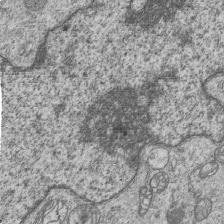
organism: Human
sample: MDA-MB-231 cells